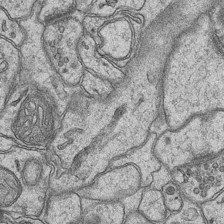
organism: Mouse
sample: CA1 Hippocampus